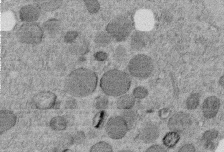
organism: C. elegans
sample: C. elegans embryo early stage